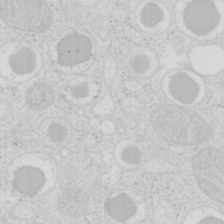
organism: Mouse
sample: Pancreas